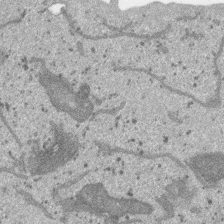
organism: Human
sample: Lung epithelial cells infected with SARS-CoV-2